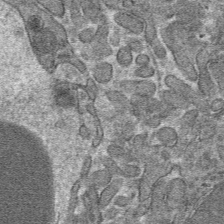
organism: Mouse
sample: Mouse hepatocytes